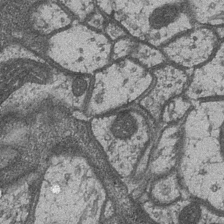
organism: Drosophila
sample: Optic medulla